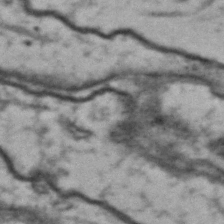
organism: Drosophila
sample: Brain